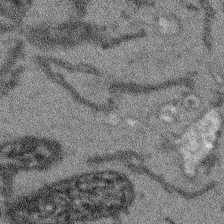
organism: Arabidopsis thaliana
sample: Root tip